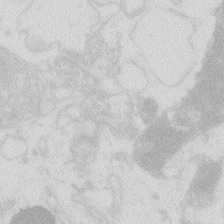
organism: Zebrafish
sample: Macrophage